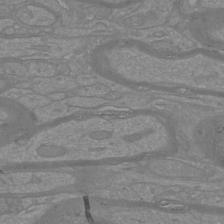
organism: Mouse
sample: Cortical neurons